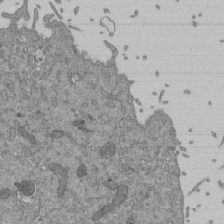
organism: Mouse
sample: ED-1 cell nuclei; centrioles